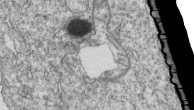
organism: Human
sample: HeLa cell HIV synapse